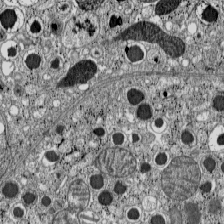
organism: C57BL Mouse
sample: Pancreatic islet